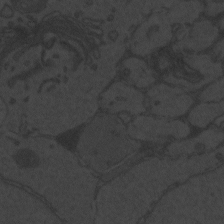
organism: Zebrafish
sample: Macrophage infected with Toxoplasma gondii